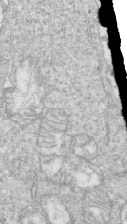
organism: Human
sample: HeLa cell HIV synapse